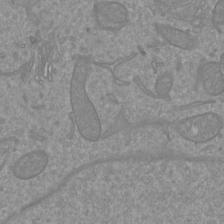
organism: Mouse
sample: Cortical neurons